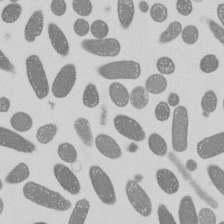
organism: E. coli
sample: Bacterial nucleoid